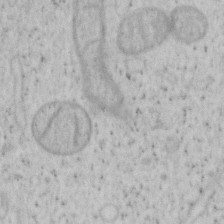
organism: Human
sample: HeLa cells